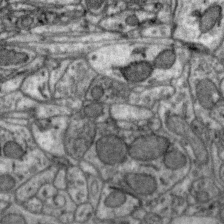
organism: Zebra finch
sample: Brain